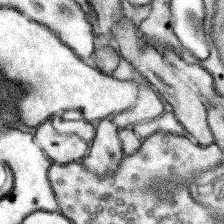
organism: Mouse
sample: Somatosensory cortex neuropil